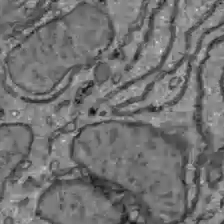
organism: C57BL Mouse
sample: Liver